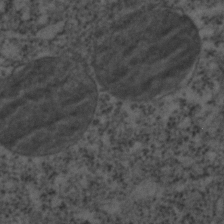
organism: C. elegans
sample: C. elegans embryo